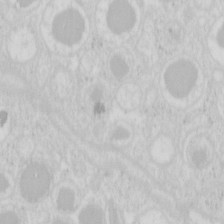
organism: Mouse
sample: Pancreas